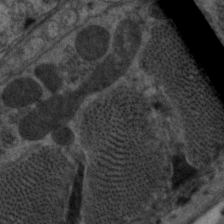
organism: C. elegans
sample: Pharynx